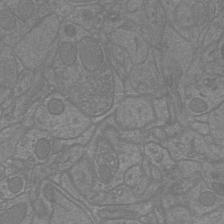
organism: Mouse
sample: Cortical neurons